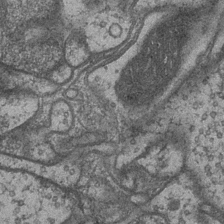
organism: Drosophila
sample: Optic medulla